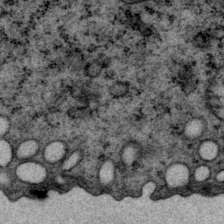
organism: P. pacificus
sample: Pharynx